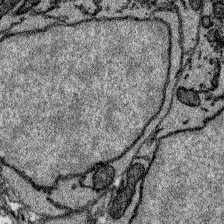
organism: Zebrafish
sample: Larval olfactory bulb